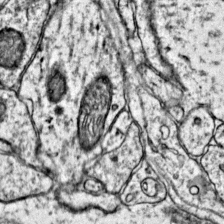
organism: Mouse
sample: Primary visual cortex